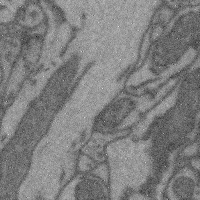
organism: Mouse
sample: Cerebral cortex